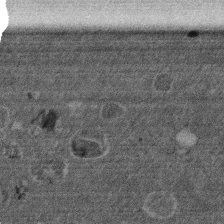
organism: Mouse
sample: Dividing mouse embryo 1 cell stage